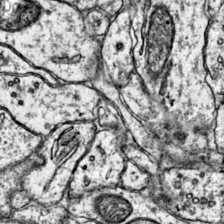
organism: Mouse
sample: Primary visual cortex